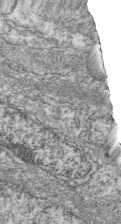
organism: Zebrafish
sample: Cilia; retinal pigment epithelium